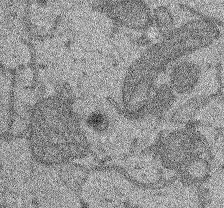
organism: Human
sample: HeLa cells